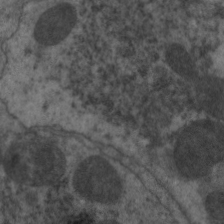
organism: C. elegans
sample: Pharynx